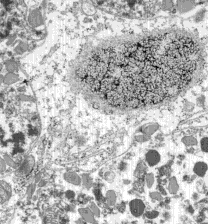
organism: C57BL Mouse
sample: Pancreatic islet